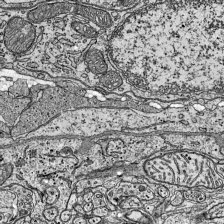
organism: Mouse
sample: Visual Cortex